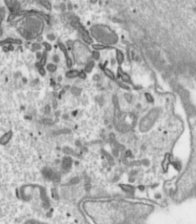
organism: Toxoplasma gondii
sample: Parasites in a vacuole inside a host cell